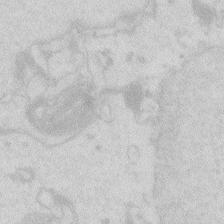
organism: Zebrafish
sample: Macrophage